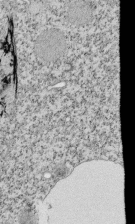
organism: Tetrahymena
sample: Cilia in tetrahymena